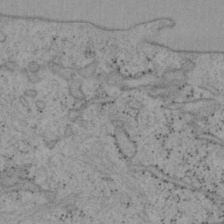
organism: Human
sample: HeLa cells